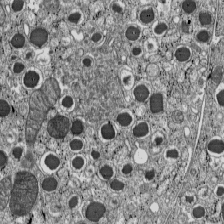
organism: C57BL Mouse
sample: Pancreatic islet